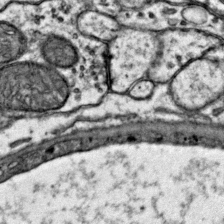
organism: Mouse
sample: Primary visual cortex